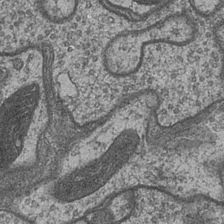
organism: Drosophila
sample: Optic medulla